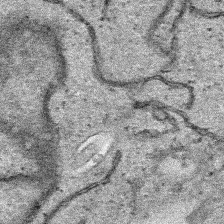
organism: Human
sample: Mitochondria in HCT116 cells